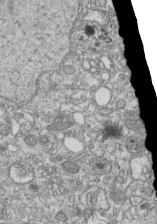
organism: Human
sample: HeLa cell HIV synapse